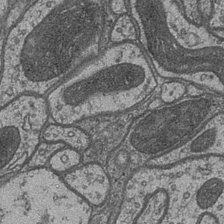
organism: Drosophila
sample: Optic medulla